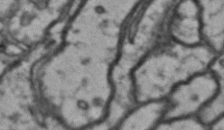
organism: Drosophila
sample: Brain